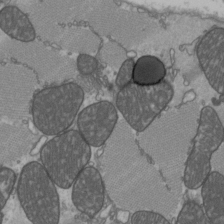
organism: C57BL Mouse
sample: Heart